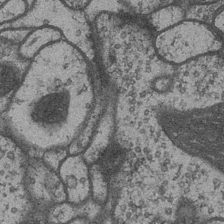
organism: Drosophila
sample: Optic medulla